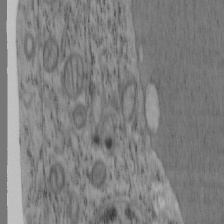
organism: Human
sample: HeLa cells